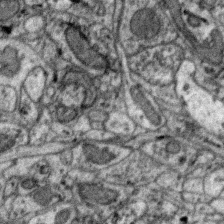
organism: Zebra finch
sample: Brain